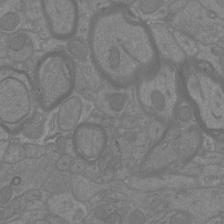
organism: Mouse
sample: Cortical neurons